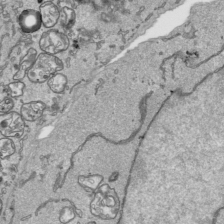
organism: Human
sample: Mitochondria in HCT116 cells